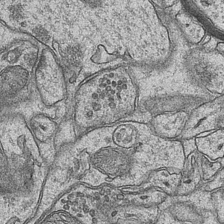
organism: Mouse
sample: CA1 Hippocampus